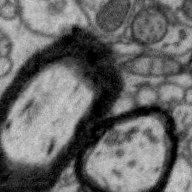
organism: Zebra finch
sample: Brain